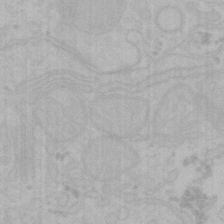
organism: Mouse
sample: Choroid plexus